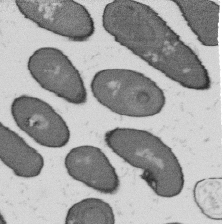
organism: B. subtilis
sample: Bacterial spore